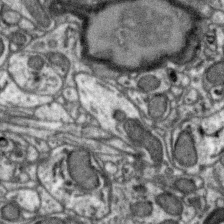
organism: Zebra finch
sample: Brain